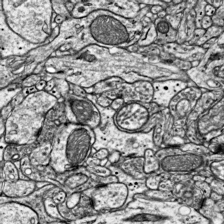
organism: Mouse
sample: Visual Cortex